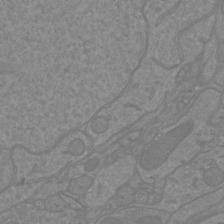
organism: Mouse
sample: Cortical neurons